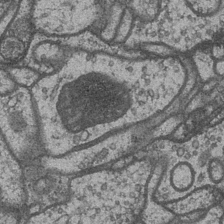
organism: Drosophila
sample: Optic medulla